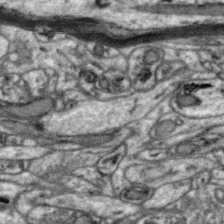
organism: Zebra finch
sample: Brain